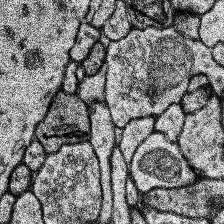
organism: Human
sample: Temporal Lobe